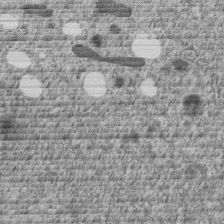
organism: C. elegans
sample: C. elegans embryo early stage